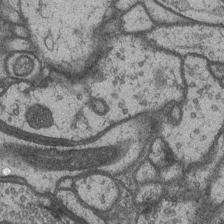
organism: Drosophila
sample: Optic medulla